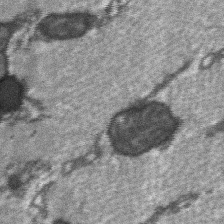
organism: C57BL Mouse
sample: Soleus